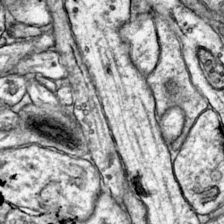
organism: Mouse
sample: Primary visual cortex